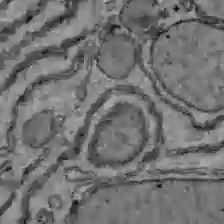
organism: C57BL Mouse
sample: Liver